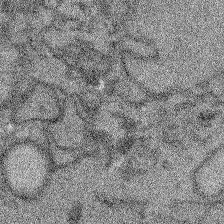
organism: Human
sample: HeLa cells